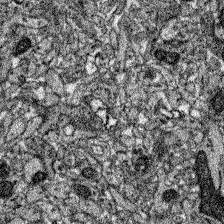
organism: Zebrafish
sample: Larval olfactory bulb